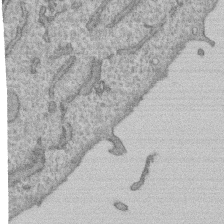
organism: Human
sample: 1205lu cells